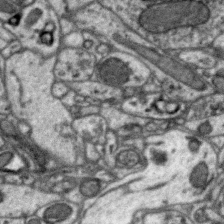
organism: Zebra finch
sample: Brain